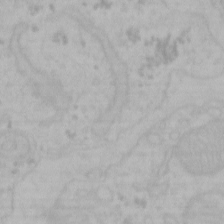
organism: Mouse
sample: Choroid plexus